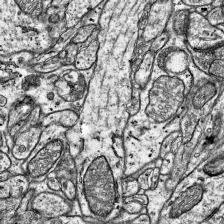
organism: Mouse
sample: Visual Cortex